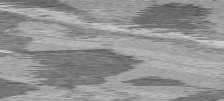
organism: C57BL Mouse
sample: Heart